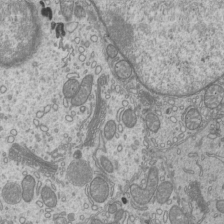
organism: Mouse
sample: Cilia; mouse epididymis